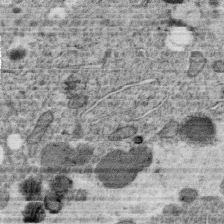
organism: C. elegans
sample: C. elegans oocyte; sperm cells